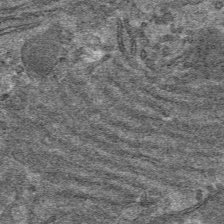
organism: Mouse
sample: Mouse hepatocytes